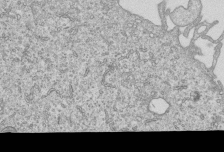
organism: Human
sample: MDA-MB-231 cells